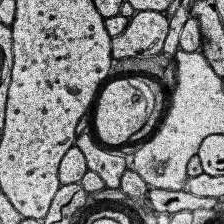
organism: Human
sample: Temporal Lobe